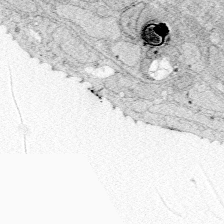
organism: Zebrafish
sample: Whole-Brain